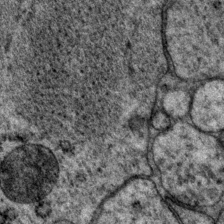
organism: P. pacificus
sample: Pharynx